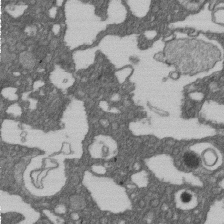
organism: Drosophila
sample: Nephrocyte